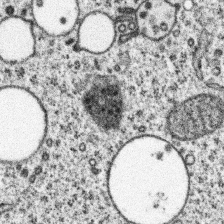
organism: Human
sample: HeLa cells